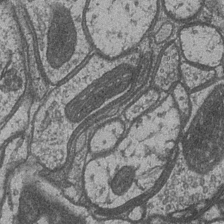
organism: Drosophila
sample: Optic medulla